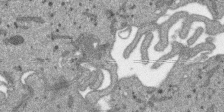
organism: Human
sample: Lung epithelial cells infected with SARS-CoV-2